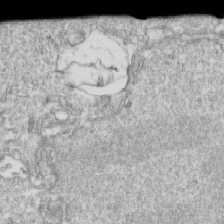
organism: Mouse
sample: Activated OT-1 CD8+ T cells